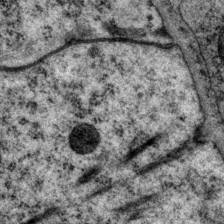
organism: P. pacificus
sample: Pharynx